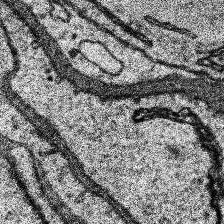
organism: Human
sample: Temporal Lobe